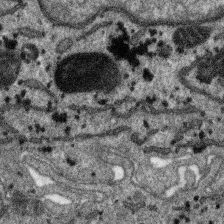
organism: Human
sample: Lung epithelial cells infected with SARS-CoV-2